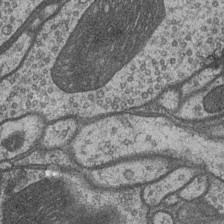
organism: Drosophila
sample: Optic medulla